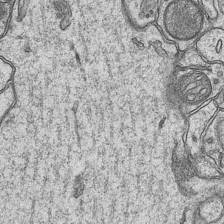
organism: Mouse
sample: CA1 Hippocampus